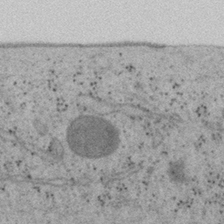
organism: Human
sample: HeLa cells